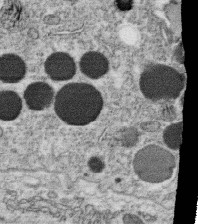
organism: C. elegans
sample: C. elegans oocyte; sperm cells